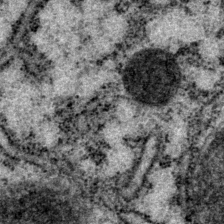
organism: P. pacificus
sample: Pharynx